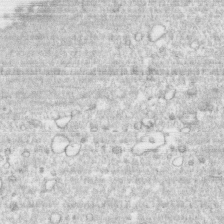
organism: Human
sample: CRL-1474